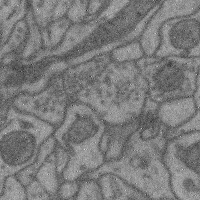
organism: Mouse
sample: Cerebral cortex